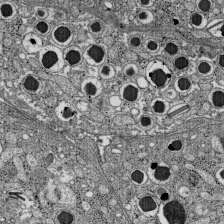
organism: C57BL Mouse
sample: Pancreatic islet